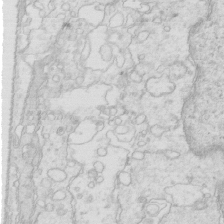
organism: Mouse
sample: Multiciliated cells